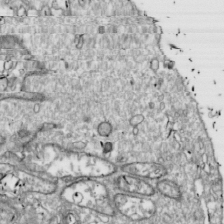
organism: Drosophila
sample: Cell division; meiosis; drosophila spermatocytes